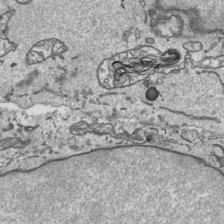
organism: Human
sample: Mitochondria in HCT116 cells